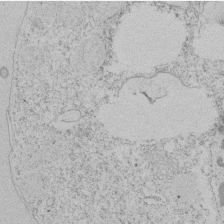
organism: Tetrahymena